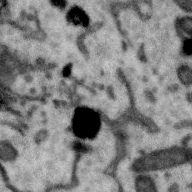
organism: Zebra finch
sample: Brain